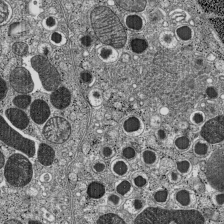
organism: C57BL Mouse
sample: Pancreatic islet